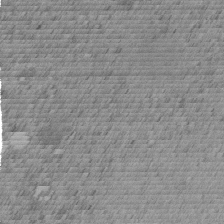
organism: C. elegans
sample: C. elegans embryo early stage